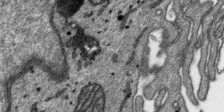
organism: Human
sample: Lung epithelial cells, uninfected (mock) control